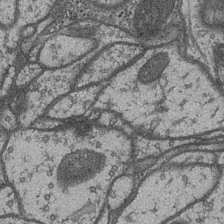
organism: Drosophila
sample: Optic medulla